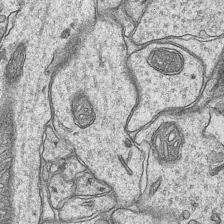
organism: Mouse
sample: CA1 Hippocampus